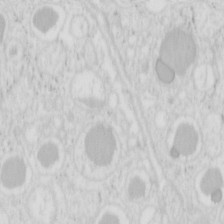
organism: Mouse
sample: Pancreas